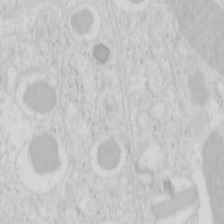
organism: Mouse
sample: Pancreas